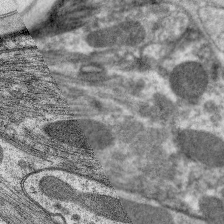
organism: C. elegans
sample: Pharynx